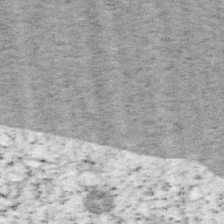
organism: Mouse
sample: OT-I killer T cells with ID8 ovarian cancer cells